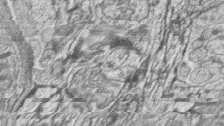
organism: Zebrafish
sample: synaptic ribbons in rod cells and cone cells